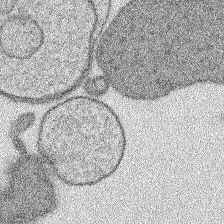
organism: Human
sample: HeLa cells